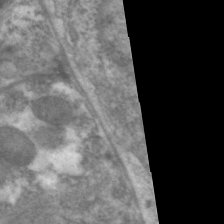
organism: C. elegans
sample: Pharynx